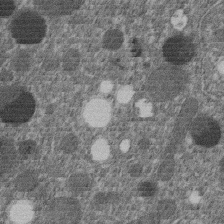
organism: C. elegans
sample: C. elegans embryo early stage